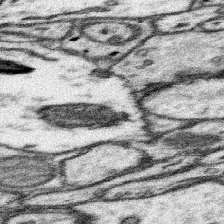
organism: Mouse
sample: Somatosensory cortex neuropil